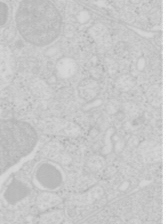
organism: Mouse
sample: Pancreas